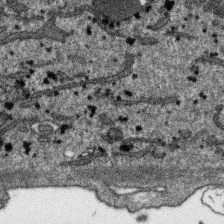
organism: Human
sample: Lung epithelial cells infected with SARS-CoV-2